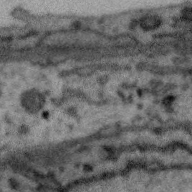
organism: Zebra finch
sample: Brain